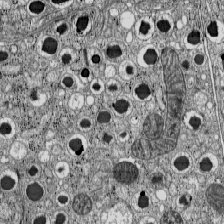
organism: C57BL Mouse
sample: Pancreatic islet